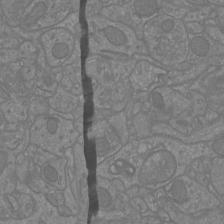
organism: Mouse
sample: Cortical neurons